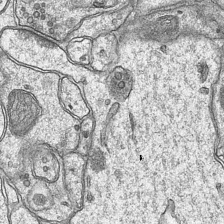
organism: Mouse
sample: CA1 Hippocampus